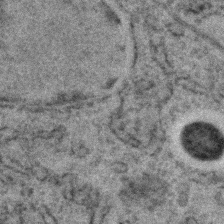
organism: C. elegans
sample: C. elegans embryo